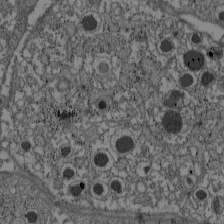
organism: C57BL Mouse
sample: Pancreatic islet